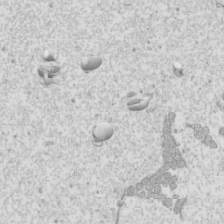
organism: Mouse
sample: Cilia; mouse epididymis